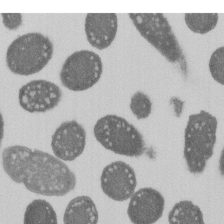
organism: E. coli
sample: Bacterial nucleoid